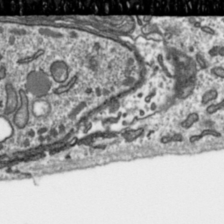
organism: Toxoplasma gondii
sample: Parasites in a vacuole inside a host cell